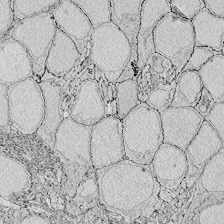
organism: Zebrafish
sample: Whole-Brain